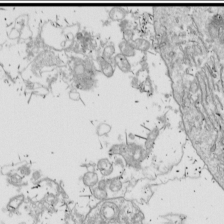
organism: Drosophila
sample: Cell division; meiosis; drosophila spermatocytes